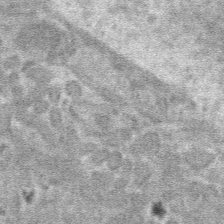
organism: Mouse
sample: Mouse hepatocytes